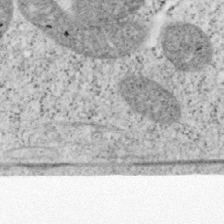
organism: Mouse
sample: OT-I killer T cells with ID8 ovarian cancer cells